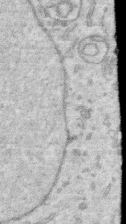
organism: Human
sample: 1205lu cells